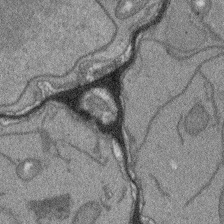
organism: Arabidopsis thaliana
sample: Root tip